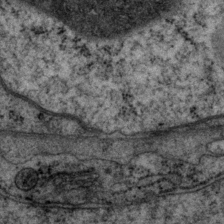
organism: P. pacificus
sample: Pharynx